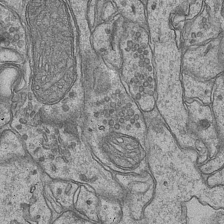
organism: Mouse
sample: CA1 Hippocampus